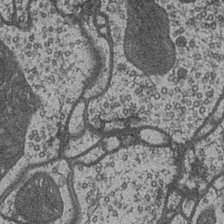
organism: Drosophila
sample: Optic medulla